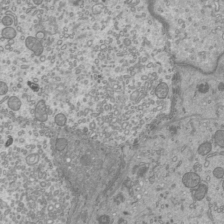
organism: Mouse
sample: Cilia; mouse epididymis